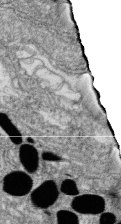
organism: Zebrafish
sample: Cilia; retinal pigment epithelium